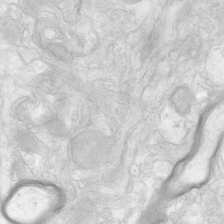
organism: Human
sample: Neocortex